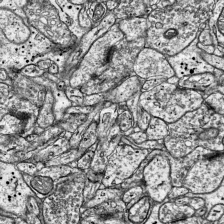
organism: Mouse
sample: Visual Cortex